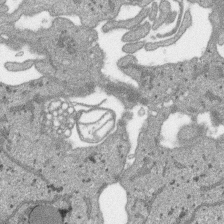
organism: Human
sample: Lung epithelial cells infected with SARS-CoV-2